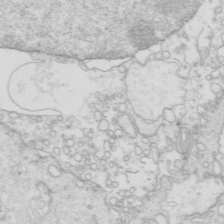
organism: Mouse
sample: Multiciliated cells